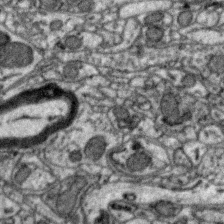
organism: Zebra finch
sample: Brain